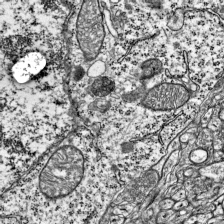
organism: Mouse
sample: Visual Cortex